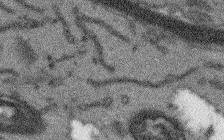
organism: Arabidopsis thaliana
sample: Root tip